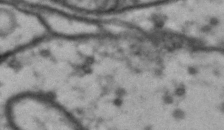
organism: Drosophila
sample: Brain